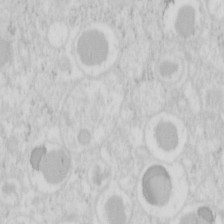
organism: Mouse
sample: Pancreas